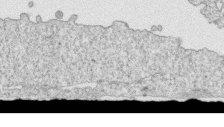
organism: Human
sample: HeLa cell HIV synapse